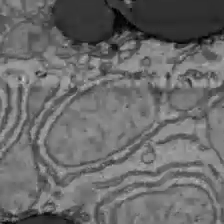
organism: C57BL Mouse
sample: Liver